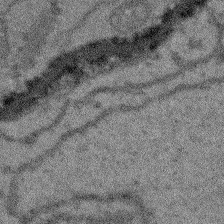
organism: Arabidopsis thaliana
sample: Root tip